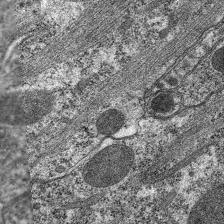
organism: C. elegans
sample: Pharynx